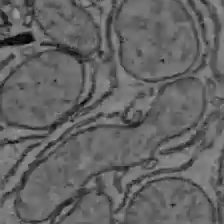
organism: C57BL Mouse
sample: Liver